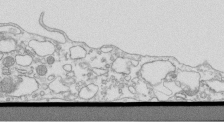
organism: Mouse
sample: Macrophages